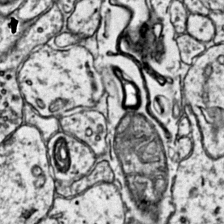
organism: Mouse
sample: Primary visual cortex